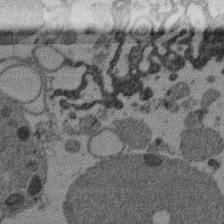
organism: Mouse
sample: Dividing mouse embryo 1 cell stage